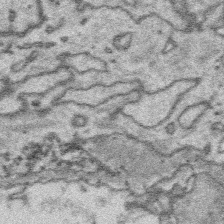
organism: Platynereis dumerilii